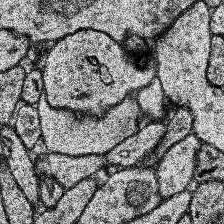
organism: Human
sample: Temporal Lobe